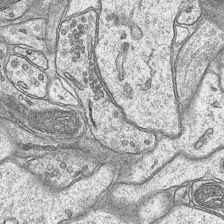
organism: Mouse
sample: CA1 Hippocampus